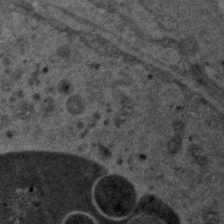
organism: Zebrafish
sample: Zebrafish embryo